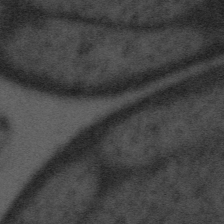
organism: Tuwongella immobilis